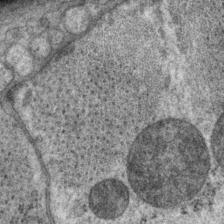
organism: P. pacificus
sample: Pharynx